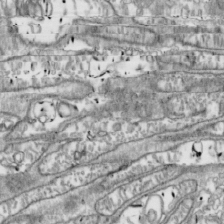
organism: Drosophila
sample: Cell division; meiosis; drosophila spermatocytes